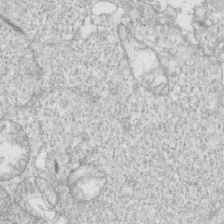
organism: Human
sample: HeLa cell HIV synapse